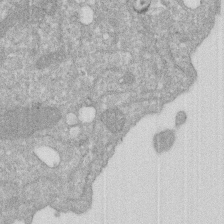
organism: Human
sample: HIV infected U937 cells